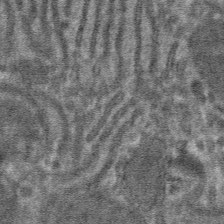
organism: Mouse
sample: Mouse hepatocytes